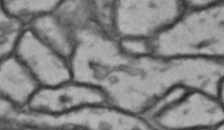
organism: Drosophila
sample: Brain